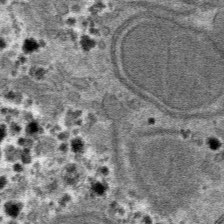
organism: Mouse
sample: Mouse hepatocytes